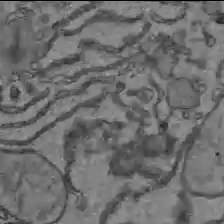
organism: C57BL Mouse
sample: Liver